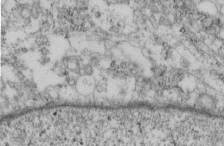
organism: Mouse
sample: Cilia; retinal pigment epithelium